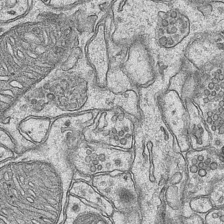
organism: Mouse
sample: CA1 Hippocampus